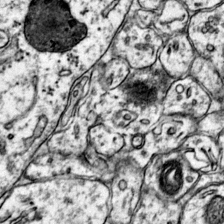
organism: Mouse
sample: Primary visual cortex